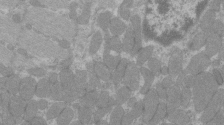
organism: C57BL Mouse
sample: Tibialis anterior muscle cell